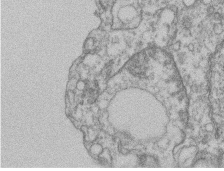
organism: Mouse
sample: T cell stromal cell synapse